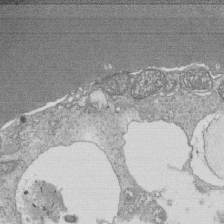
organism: Tetrahymena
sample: Cilia in tetrahymena